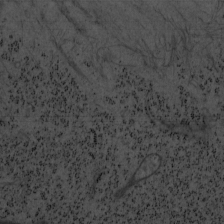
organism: Mouse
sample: OT-I killer T cells with ID8 ovarian cancer cells